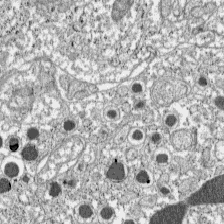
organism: C57BL Mouse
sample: Pancreatic islet